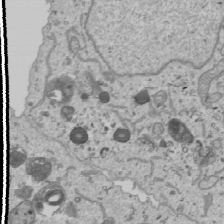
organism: Human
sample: Mitochondria in U2OS cells